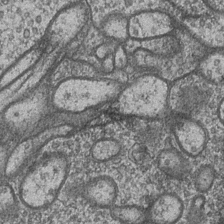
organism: Drosophila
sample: Optic medulla